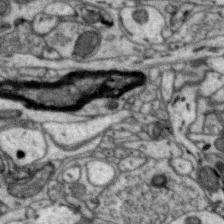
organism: Zebra finch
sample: Brain